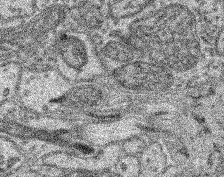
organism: Mouse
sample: Retina